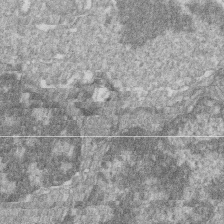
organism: Zebrafish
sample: Cilia; retinal pigment epithelium